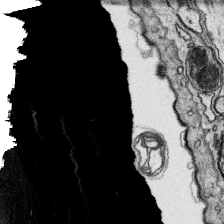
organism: Platynereis dumerilii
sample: Parapodia